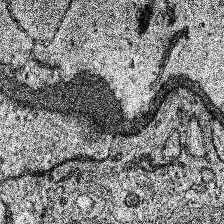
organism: Human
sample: Temporal Lobe